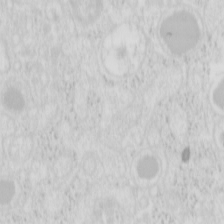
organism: Mouse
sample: Pancreas